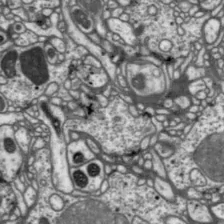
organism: Drosophila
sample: Protocerebral bridge